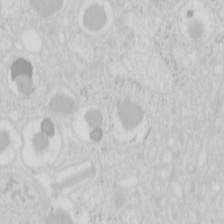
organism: Mouse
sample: Pancreas